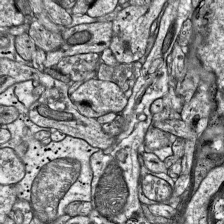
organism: Mouse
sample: Visual Cortex